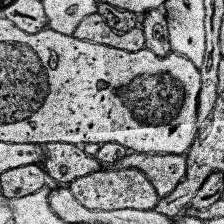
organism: Human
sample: Temporal Lobe